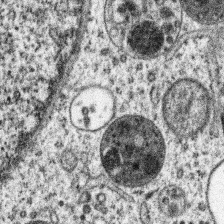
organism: Human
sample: HeLa cells